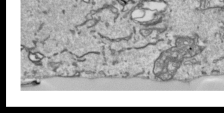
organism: Human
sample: Mitochondria in HCT116 cells